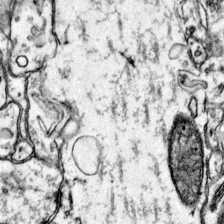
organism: Mouse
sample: Primary visual cortex